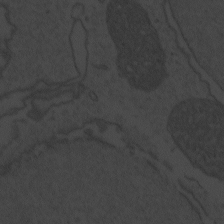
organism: Zebrafish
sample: Macrophage infected with Toxoplasma gondii